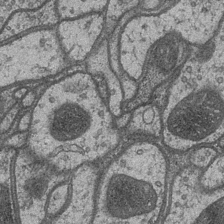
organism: Drosophila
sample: Optic medulla